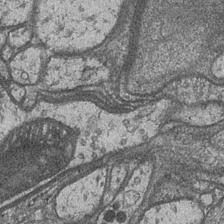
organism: Drosophila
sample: Optic medulla